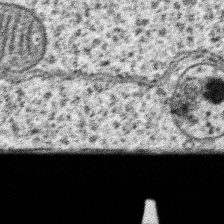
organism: Human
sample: HeLa cells